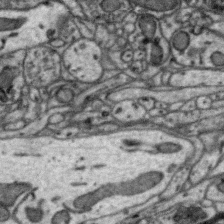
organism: Zebra finch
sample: Brain